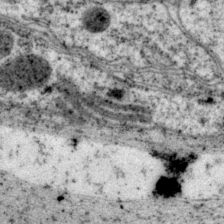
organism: P. pacificus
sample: Pharynx